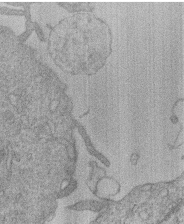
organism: Human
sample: Macrophage cells